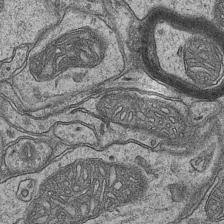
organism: Mouse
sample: CA1 Hippocampus